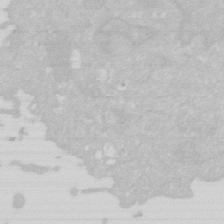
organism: Human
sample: HIV infected U937 cells